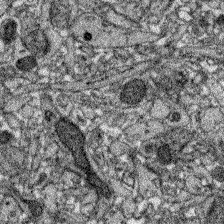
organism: Zebrafish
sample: Larval olfactory bulb